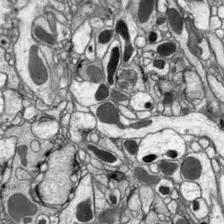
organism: Drosophila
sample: Optic lobe